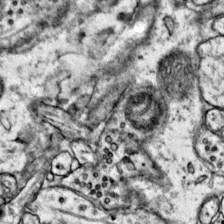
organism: Mouse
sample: Primary visual cortex